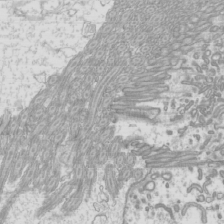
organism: Mouse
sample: Cilia; mouse epididymis